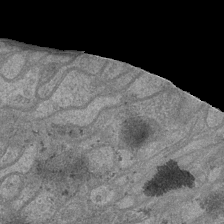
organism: Drosophila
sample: Optic medulla